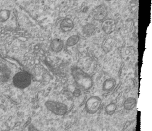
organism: Human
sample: MDA-MB-231 cells